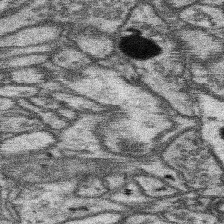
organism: Mouse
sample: Somatosensory cortex neuropil